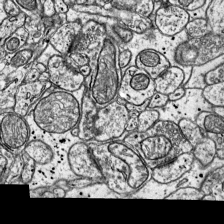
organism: Mouse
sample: Visual Cortex